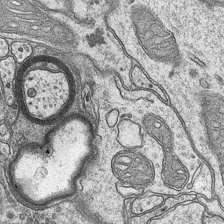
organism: Mouse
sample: CA1 Hippocampus